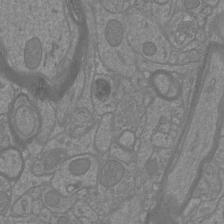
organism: Mouse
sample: Cortical neurons